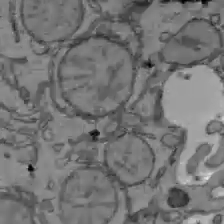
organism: C57BL Mouse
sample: Liver